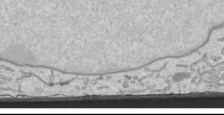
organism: Human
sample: Mitochondria in HCT116 cells